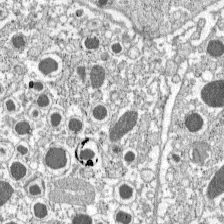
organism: C57BL Mouse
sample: Pancreatic islet